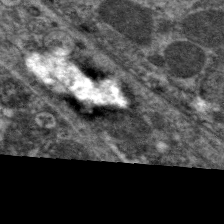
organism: C. elegans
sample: Pharynx